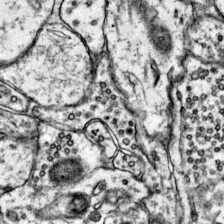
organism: Mouse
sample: Primary visual cortex